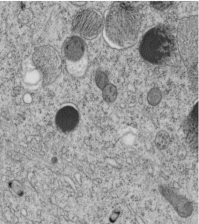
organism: C. elegans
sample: C. elegans embryo early stage